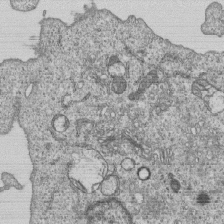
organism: Human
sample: MDA-MB-231 cells